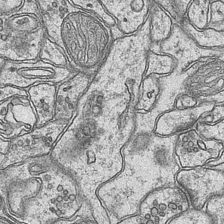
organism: Mouse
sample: CA1 Hippocampus